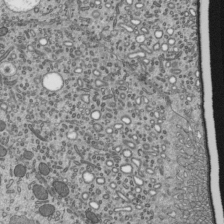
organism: Mouse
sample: Mouse epididymis efferent ductule cilia